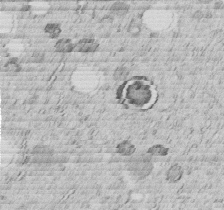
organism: C. elegans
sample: C. elegans embryo early stage